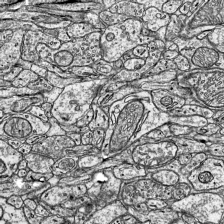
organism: Mouse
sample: Visual Cortex